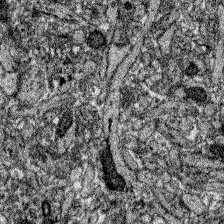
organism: Zebrafish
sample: Larval olfactory bulb